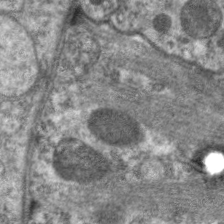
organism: C. elegans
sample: Pharynx